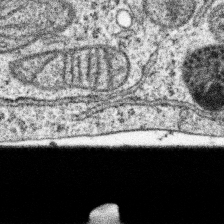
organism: Human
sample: HeLa cells